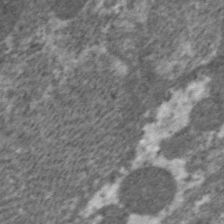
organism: C. elegans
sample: Pharynx